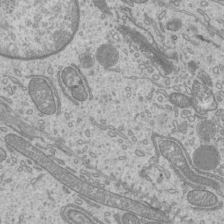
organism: Mouse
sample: Cilia; mouse epididymis